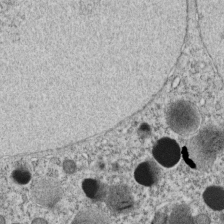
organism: C. elegans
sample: C. elegans embryo early stage